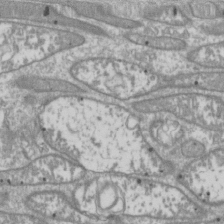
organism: Drosophila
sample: Cell division; meiosis; drosophila spermatocytes